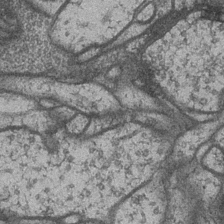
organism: Drosophila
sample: Optic medulla